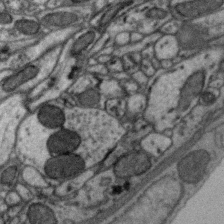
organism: Zebra finch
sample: Brain